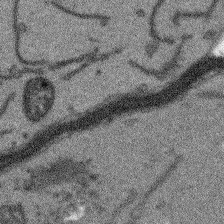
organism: Arabidopsis thaliana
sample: Root tip